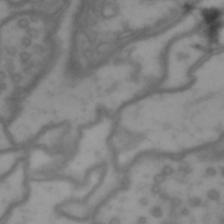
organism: Drosophila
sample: Brain